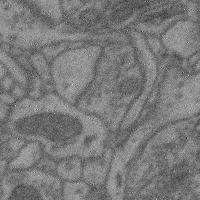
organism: Mouse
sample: Cerebral cortex